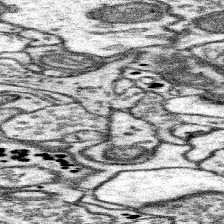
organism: Mouse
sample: Somatosensory cortex neuropil